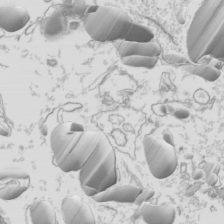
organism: Mouse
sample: Cilia; mouse epididymis